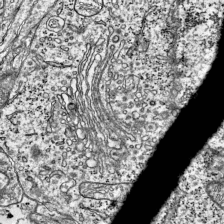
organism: Mouse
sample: Visual Cortex